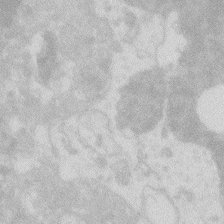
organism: Zebrafish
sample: Macrophage